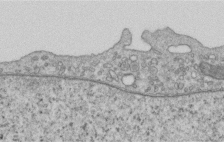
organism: Human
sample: Centriole in RPE cells